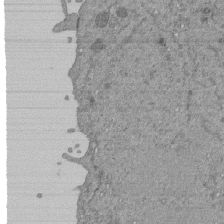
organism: Mouse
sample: ED-1 cell nuclei; centrioles